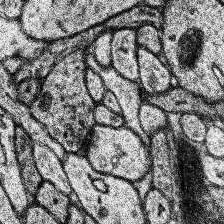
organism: Human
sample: Temporal Lobe